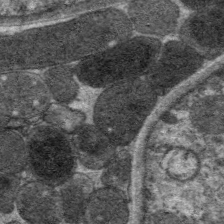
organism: C. elegans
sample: Pharynx